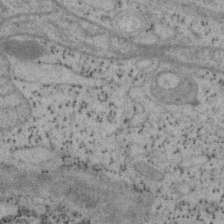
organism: Human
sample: HeLa cells